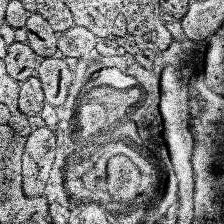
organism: Human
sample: Temporal Lobe